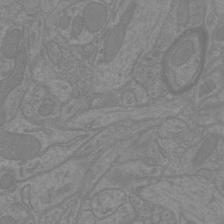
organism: Mouse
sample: Cortical neurons